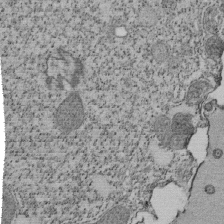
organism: Tetrahymena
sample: Cilia in tetrahymena